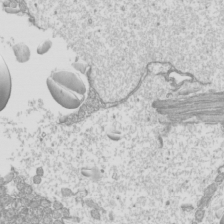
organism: Mouse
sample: Cilia; mouse epididymis